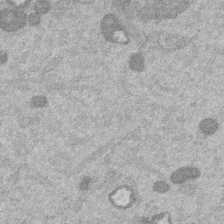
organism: Mouse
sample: Dividing mouse embryo 1 cell stage